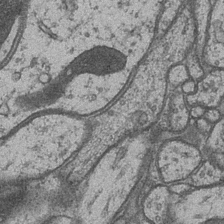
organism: Drosophila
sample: Optic medulla